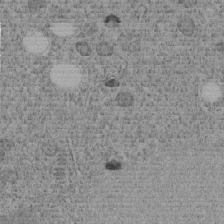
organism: C. elegans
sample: C. elegans embryo early stage